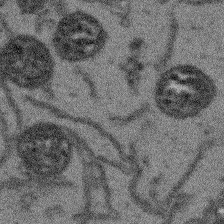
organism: Arabidopsis thaliana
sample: Root tip